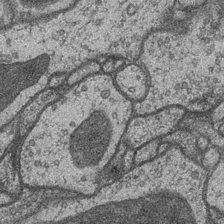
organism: Drosophila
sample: Optic medulla